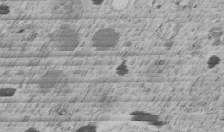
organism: C. elegans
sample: C. elegans embryo early stage